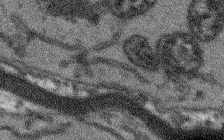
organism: Arabidopsis thaliana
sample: Root tip